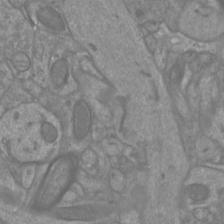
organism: Mouse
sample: Cortical neurons